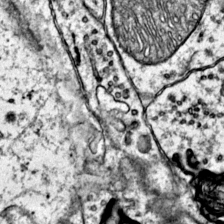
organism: Mouse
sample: Primary visual cortex